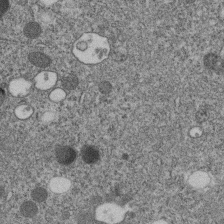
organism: C. elegans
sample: C. elegans embryo early stage